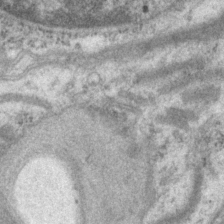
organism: P. pacificus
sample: Pharynx